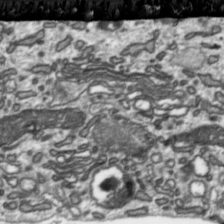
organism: Toxoplasma gondii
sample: Parasites in a vacuole inside a host cell